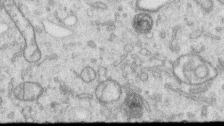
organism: Human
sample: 1205lu cells